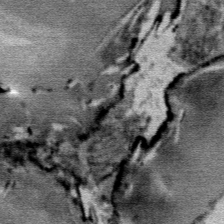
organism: Mouse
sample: Mouse Salivary gland